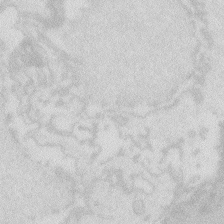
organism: Zebrafish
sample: Macrophage